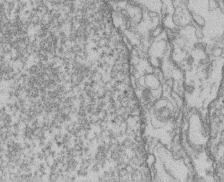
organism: Mouse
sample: T cell stromal cell synapse